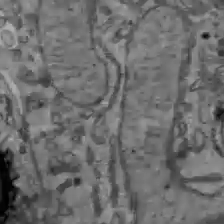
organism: C57BL Mouse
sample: Liver